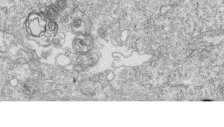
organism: Human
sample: HeLa cell HIV synapse